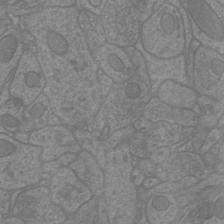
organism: Mouse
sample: Cortical neurons